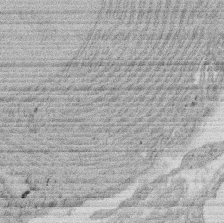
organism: Rat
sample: Salivary granule